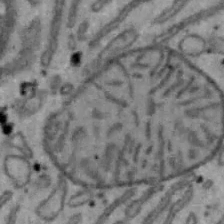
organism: Mouse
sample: Liver